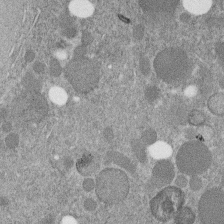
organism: C. elegans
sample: C. elegans embryo early stage